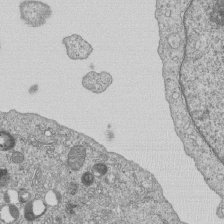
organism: Human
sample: MDA-MB-231 cells